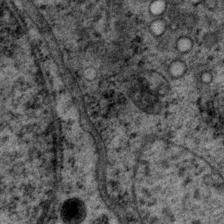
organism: P. pacificus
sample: Pharynx